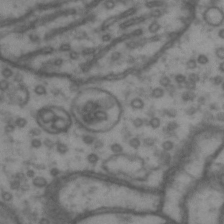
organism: Drosophila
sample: Brain